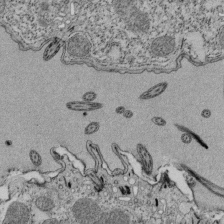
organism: Tetrahymena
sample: Cilia in tetrahymena